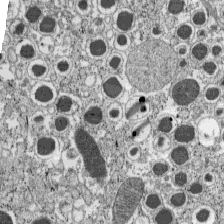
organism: C57BL Mouse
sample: Pancreatic islet